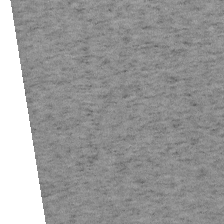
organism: Mouse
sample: OT-I killer T cells with ID8 ovarian cancer cells